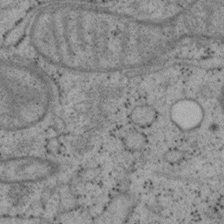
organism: Human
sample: HeLa cells